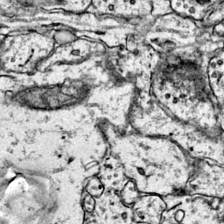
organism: Mouse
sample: Primary visual cortex